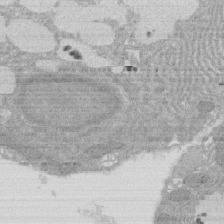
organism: Rat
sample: Salivary granule